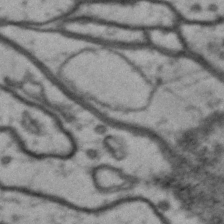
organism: Drosophila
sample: Brain